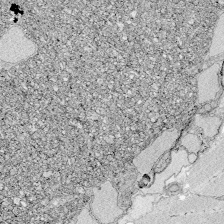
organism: Zebrafish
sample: Whole-Brain